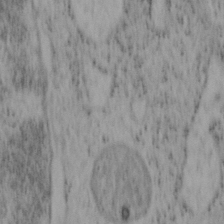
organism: Mouse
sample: OT-I killer T cells with ID8 ovarian cancer cells